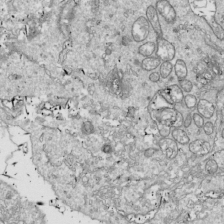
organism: Drosophila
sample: Cell division; meiosis; drosophila spermatocytes